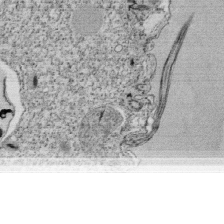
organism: Tetrahymena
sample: Cilia in tetrahymena